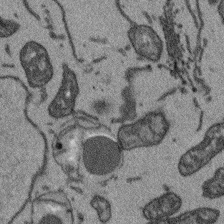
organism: Arabidopsis thaliana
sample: Root tip